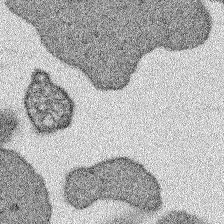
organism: Human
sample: HeLa cells